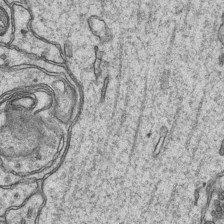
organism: Mouse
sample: CA1 Hippocampus